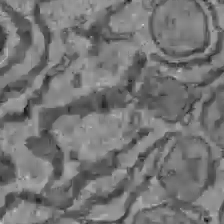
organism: C57BL Mouse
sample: Liver